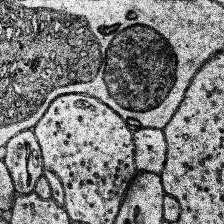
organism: Human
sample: Temporal Lobe